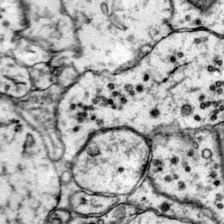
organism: Mouse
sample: Primary visual cortex